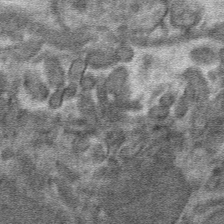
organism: Mouse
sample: Mouse hepatocytes